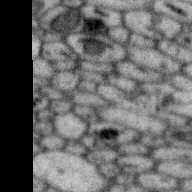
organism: Zebra finch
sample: Brain